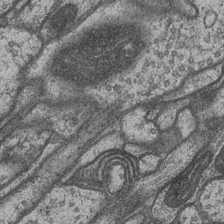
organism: Drosophila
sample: Optic medulla